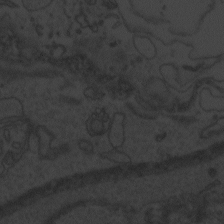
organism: Zebrafish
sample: Macrophage infected with Toxoplasma gondii